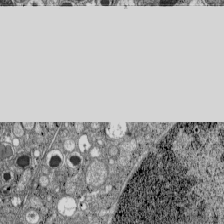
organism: C57BL Mouse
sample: Pancreatic islet